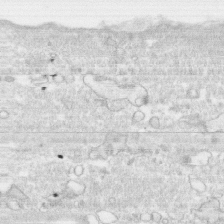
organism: Human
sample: CRL-1474